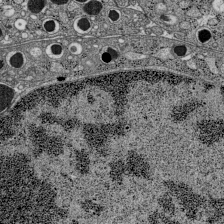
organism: C57BL Mouse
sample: Pancreatic islet